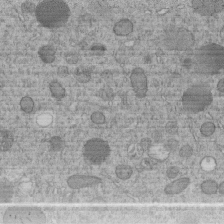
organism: C. elegans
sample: C. elegans embryo early stage